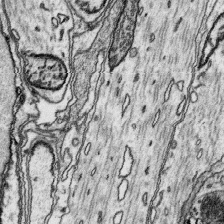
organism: Platynereis dumerilii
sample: Parapodia